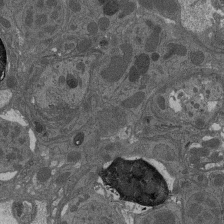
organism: Drosophila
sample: Antenna